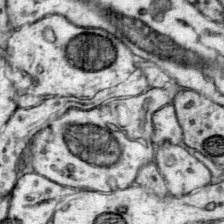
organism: Mouse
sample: Primary visual cortex